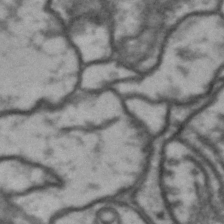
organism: Drosophila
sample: Brain